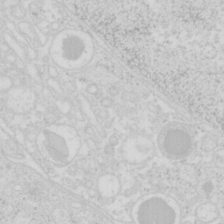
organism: Mouse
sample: Pancreas